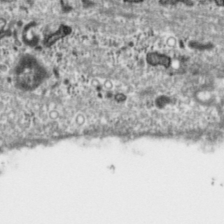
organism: Toxoplasma gondii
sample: Parasites in a vacuole inside a host cell